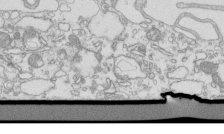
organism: Mouse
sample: Macrophages